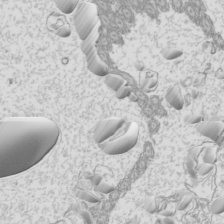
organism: Mouse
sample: Cilia; mouse epididymis